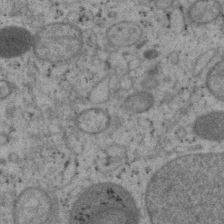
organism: Human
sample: HeLa cells